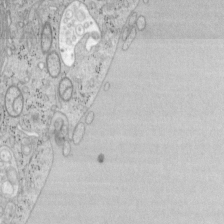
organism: Mouse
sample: OT-I killer T cells with ID8 ovarian cancer cells